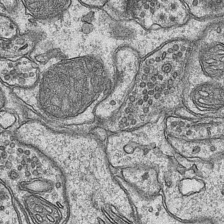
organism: Mouse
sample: CA1 Hippocampus